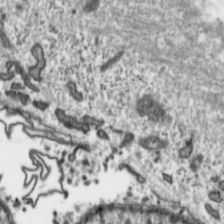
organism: Toxoplasma gondii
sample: Parasites in a vacuole inside a host cell